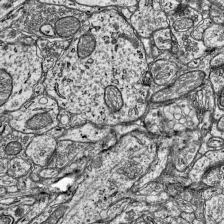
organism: Mouse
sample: Visual Cortex